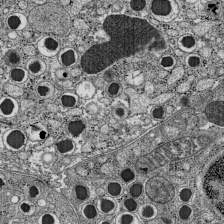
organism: C57BL Mouse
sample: Pancreatic islet